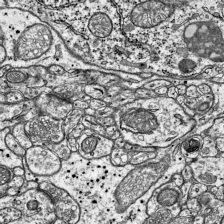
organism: Mouse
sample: Visual Cortex